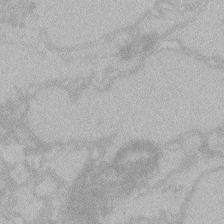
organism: Zebrafish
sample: Macrophage infected with Toxoplasma gondii